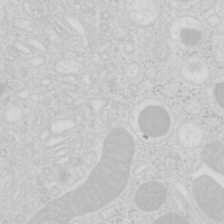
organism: Mouse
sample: Pancreas